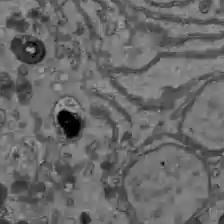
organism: C57BL Mouse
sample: Liver